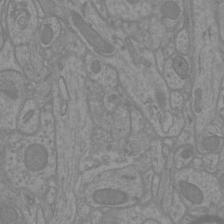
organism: Mouse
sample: Cortical neurons